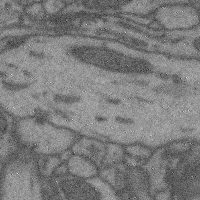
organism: Mouse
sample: Cerebral cortex